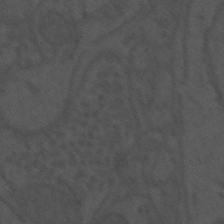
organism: Mouse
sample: Suprachiasmatic nucleus